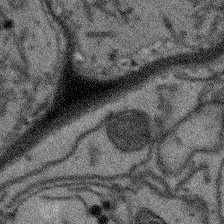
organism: Arabidopsis thaliana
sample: Root tip